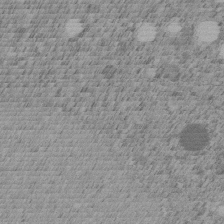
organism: C. elegans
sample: C. elegans embryo early stage